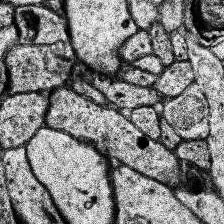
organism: Human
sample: Temporal Lobe